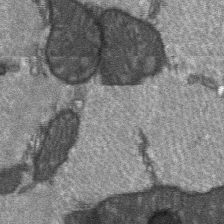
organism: C57BL Mouse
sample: Soleus